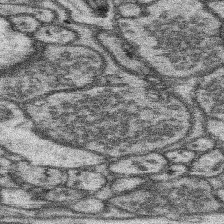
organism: Mouse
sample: Somatosensory cortex neuropil